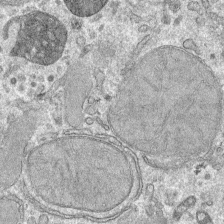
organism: Mouse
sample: Mouse hepatocytes